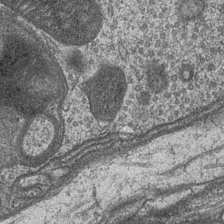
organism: Drosophila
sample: Optic medulla